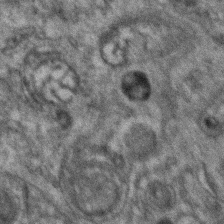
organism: Zebrafish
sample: Zebrafish embryo